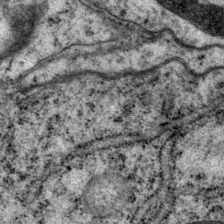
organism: P. pacificus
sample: Pharynx